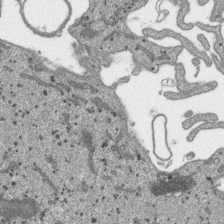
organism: Human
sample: Lung epithelial cells infected with SARS-CoV-2